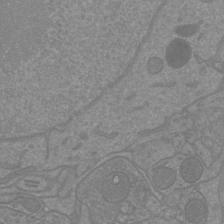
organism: Mouse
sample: Cortical neurons